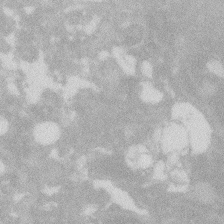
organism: Zebrafish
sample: Macrophage